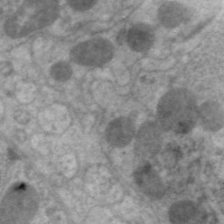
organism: C. elegans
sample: Pharynx